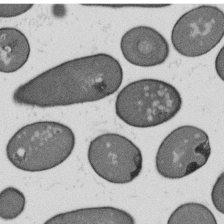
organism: B. subtilis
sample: Bacterial spore